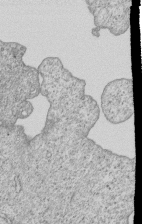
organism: Human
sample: MDA-MB-231 cells